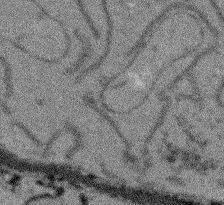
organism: Arabidopsis thaliana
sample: Root tip